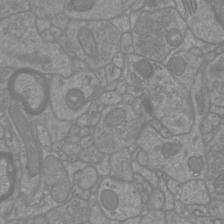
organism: Mouse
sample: Cortical neurons